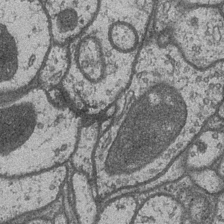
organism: Drosophila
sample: Optic medulla